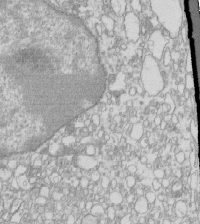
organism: Mouse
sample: Macrophages